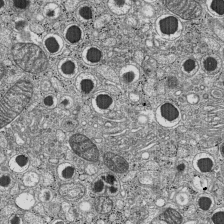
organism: C57BL Mouse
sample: Pancreatic islet